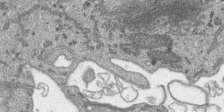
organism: Human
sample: Lung epithelial cells infected with SARS-CoV-2